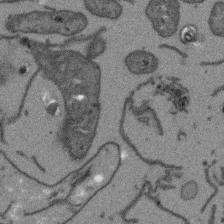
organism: Arabidopsis thaliana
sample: Root tip